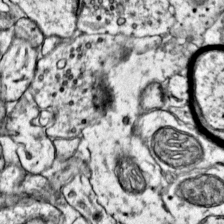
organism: Mouse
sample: Primary visual cortex